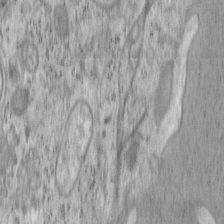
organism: Human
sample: HeLa cells